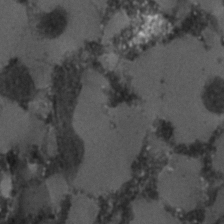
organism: C. elegans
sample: C. elegans embryo